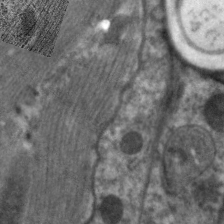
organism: C. elegans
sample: Pharynx